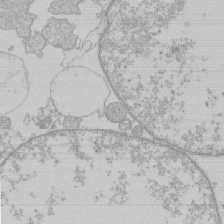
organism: Human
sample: Macrophage cells